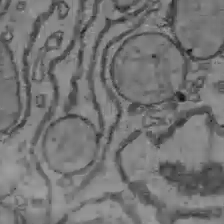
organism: C57BL Mouse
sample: Liver